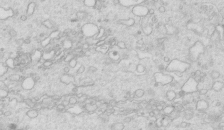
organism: Mouse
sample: Multiciliated cells